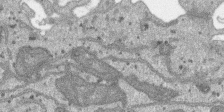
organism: Human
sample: Lung epithelial cells infected with SARS-CoV-2